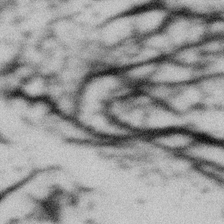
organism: Gemmata obscuriglobus